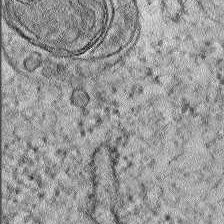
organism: Human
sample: HeLa cells